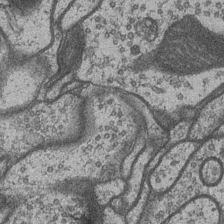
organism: Drosophila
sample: Optic medulla